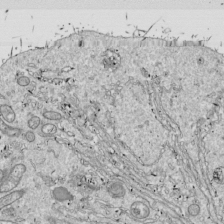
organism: Drosophila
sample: Cell division; meiosis; drosophila spermatocytes